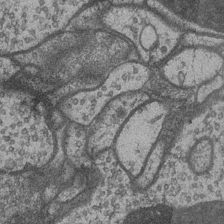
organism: Drosophila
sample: Optic medulla